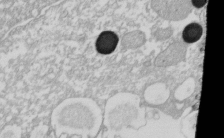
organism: Xenopus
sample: Cilia; centrioles in frog embryo cells